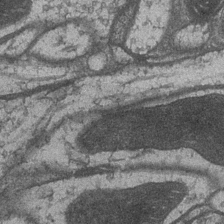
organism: Drosophila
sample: Optic medulla